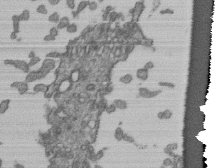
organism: Human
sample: Retinal organoid Rod and Cone cells